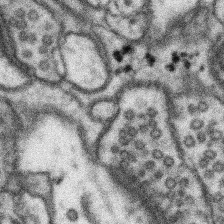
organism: Mouse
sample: Somatosensory cortex neuropil